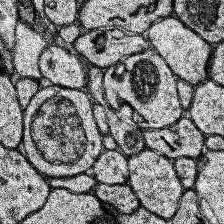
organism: Human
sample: Temporal Lobe